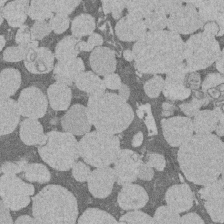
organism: Rat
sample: Salivary granule